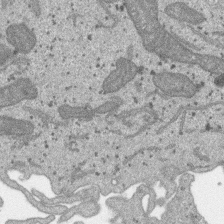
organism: Human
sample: Lung epithelial cells infected with SARS-CoV-2